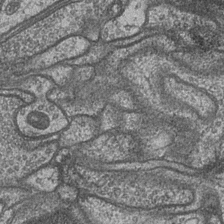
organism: Drosophila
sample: Optic medulla